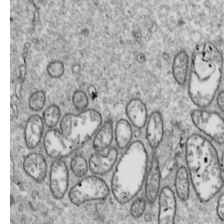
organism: Drosophila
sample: Cell division; meiosis; drosophila spermatocytes